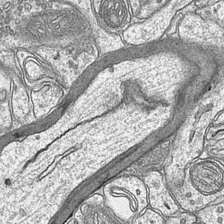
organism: Mouse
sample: CA1 Hippocampus